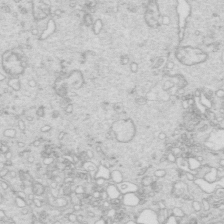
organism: Mouse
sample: Multiciliated cells